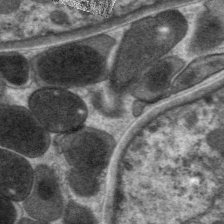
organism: C. elegans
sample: Pharynx